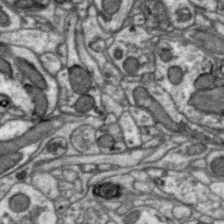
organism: Zebra finch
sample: Brain